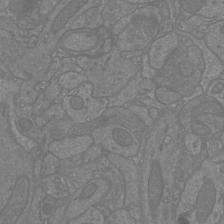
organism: Mouse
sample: Cortical neurons